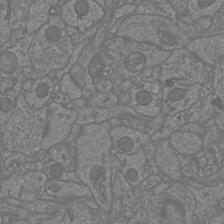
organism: Mouse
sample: Cortical neurons